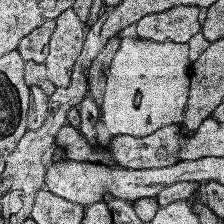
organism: Human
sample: Temporal Lobe